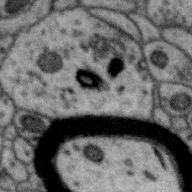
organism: Zebra finch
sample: Brain